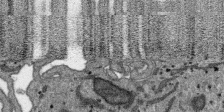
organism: Human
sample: Lung epithelial cells, uninfected (mock) control